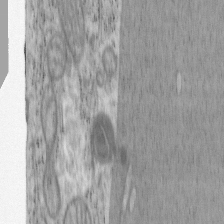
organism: Human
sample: HeLa cells